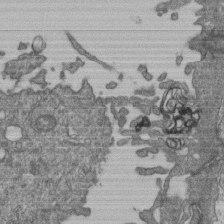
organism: Human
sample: Retinal organoid Rod and Cone cells